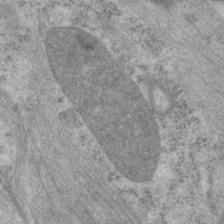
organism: P. pacificus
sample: Pharynx